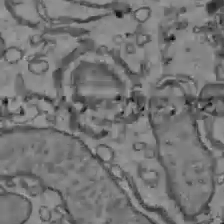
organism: C57BL Mouse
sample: Liver